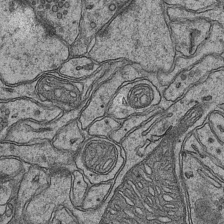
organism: Mouse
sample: CA1 Hippocampus